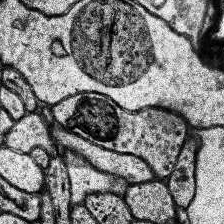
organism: Human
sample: Temporal Lobe